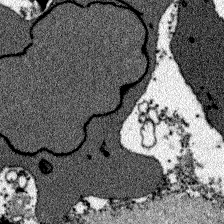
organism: Zebrafish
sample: Larval olfactory bulb